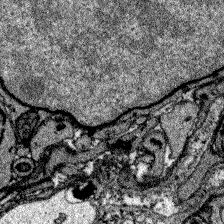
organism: Zebrafish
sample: Larval olfactory bulb